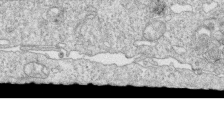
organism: Human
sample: HeLa cell HIV synapse